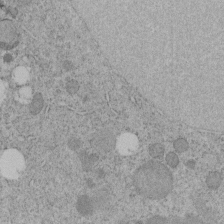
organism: C. elegans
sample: C. elegans embryo early stage